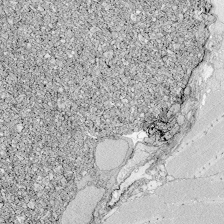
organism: Zebrafish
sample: Whole-Brain